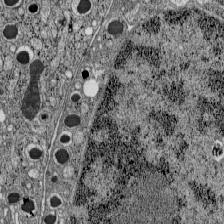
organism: C57BL Mouse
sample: Pancreatic islet